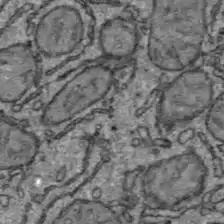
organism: C57BL Mouse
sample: Liver